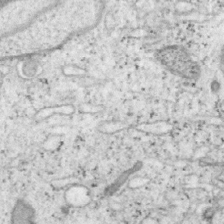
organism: Mouse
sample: OT-I killer T cells with ID8 ovarian cancer cells